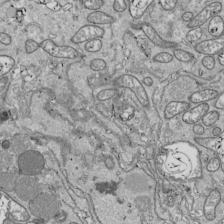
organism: Drosophila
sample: Cell division; meiosis; drosophila spermatocytes